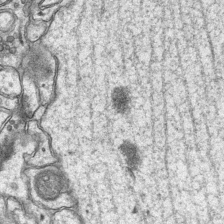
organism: Mouse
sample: CA1 Hippocampus